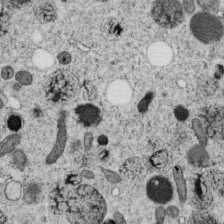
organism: C. elegans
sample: C. elegans oocyte; sperm cells